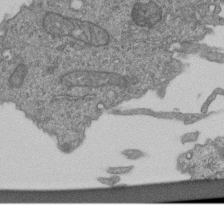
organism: Human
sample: Retinal organoid Rod and Cone cells